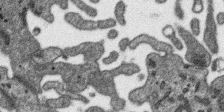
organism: Human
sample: Lung epithelial cells infected with SARS-CoV-2